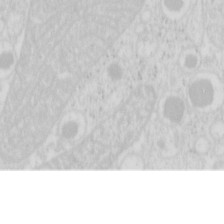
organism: Mouse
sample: Pancreas